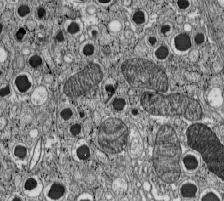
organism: C57BL Mouse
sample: Pancreatic islet